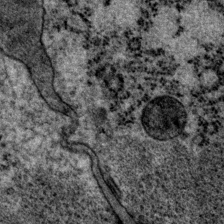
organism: P. pacificus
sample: Pharynx